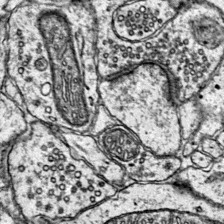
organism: Mouse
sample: Primary visual cortex